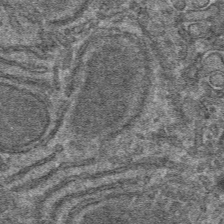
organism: Mouse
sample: Mouse hepatocytes